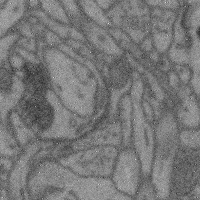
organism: Mouse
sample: Cerebral cortex